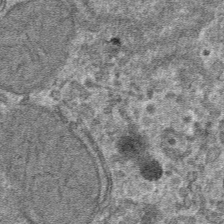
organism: Mouse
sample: Mouse hepatocytes